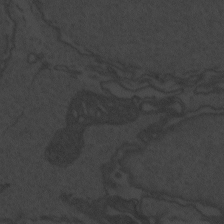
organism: Zebrafish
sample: Macrophage infected with Toxoplasma gondii